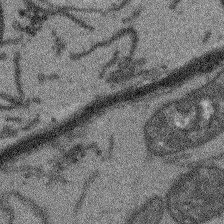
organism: Arabidopsis thaliana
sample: Root tip